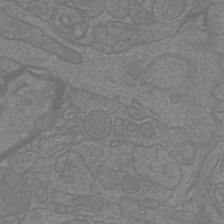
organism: Mouse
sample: Cortical neurons